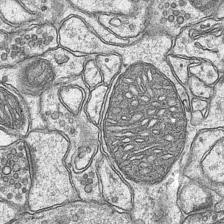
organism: Mouse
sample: CA1 Hippocampus